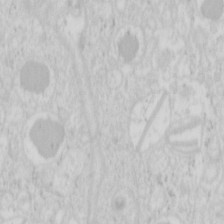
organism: Mouse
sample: Pancreas